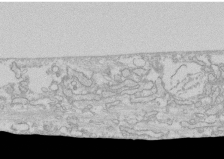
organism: Human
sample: CRL-1474